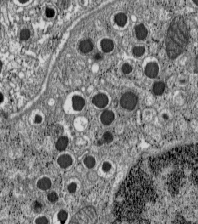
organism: C57BL Mouse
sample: Pancreatic islet